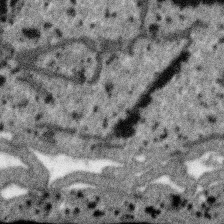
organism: Human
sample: Lung epithelial cells infected with SARS-CoV-2